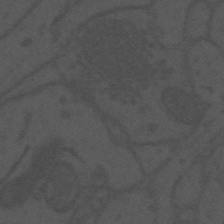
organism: Mouse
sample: Suprachiasmatic nucleus